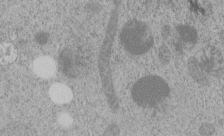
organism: C. elegans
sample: C. elegans embryo early stage